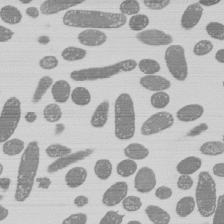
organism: E. coli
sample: Bacterial nucleoid